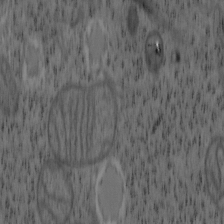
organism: Human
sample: HeLa cells